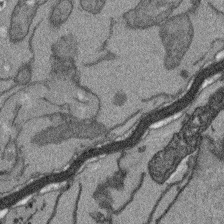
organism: Arabidopsis thaliana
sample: Root tip